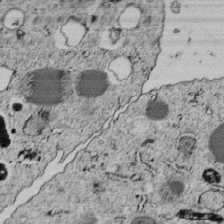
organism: C. elegans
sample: C. elegans embryo early stage